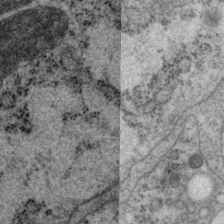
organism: P. pacificus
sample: Pharynx